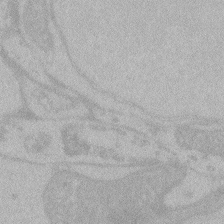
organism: Zebrafish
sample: Macrophage infected with Toxoplasma gondii